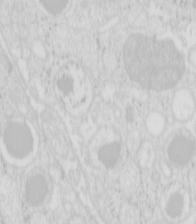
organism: Mouse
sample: Pancreas